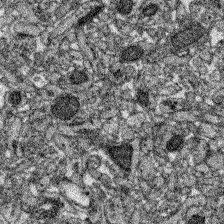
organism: Zebrafish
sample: Larval olfactory bulb